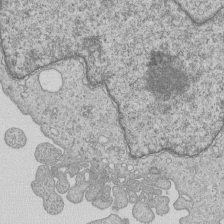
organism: Human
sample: MDA-MB-231 cells